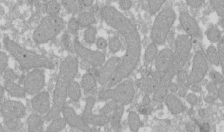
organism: Xenopus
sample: Cilia; centrioles in frog embryo cells